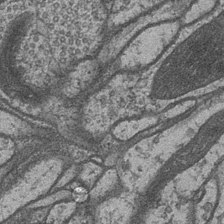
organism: Drosophila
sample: Optic medulla